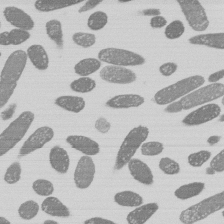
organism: E. coli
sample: Bacterial nucleoid